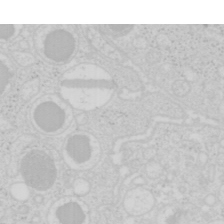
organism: Mouse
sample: Pancreas